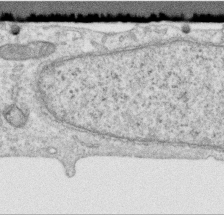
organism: Human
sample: Centriole in RPE cells